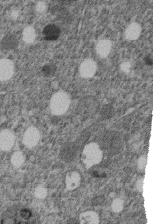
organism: C. elegans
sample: C. elegans embryo early stage